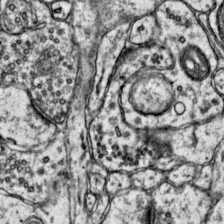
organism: Mouse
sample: Primary visual cortex